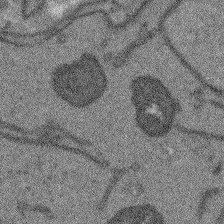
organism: Arabidopsis thaliana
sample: Root tip